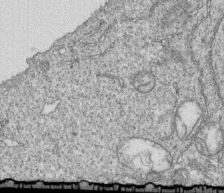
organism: Human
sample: HeLa cell HIV synapse